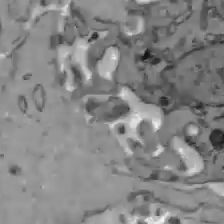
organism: C57BL Mouse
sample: Liver